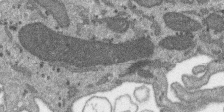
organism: Human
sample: Lung epithelial cells infected with SARS-CoV-2